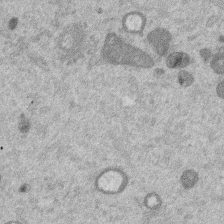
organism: Mouse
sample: Dividing mouse embryo 1 cell stage